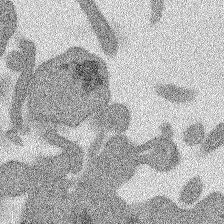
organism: Human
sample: HeLa cells